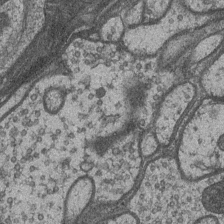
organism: Drosophila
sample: Optic medulla